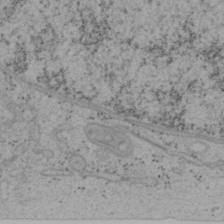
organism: Human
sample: HeLa cells